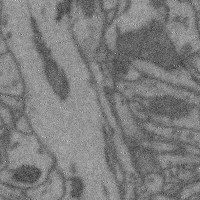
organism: Mouse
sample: Cerebral cortex